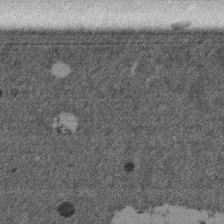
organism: Mouse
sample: Dividing mouse embryo 1 cell stage